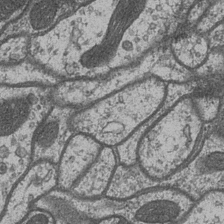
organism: Drosophila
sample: Optic medulla